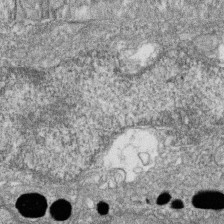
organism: Zebrafish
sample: Cilia; retinal pigment epithelium